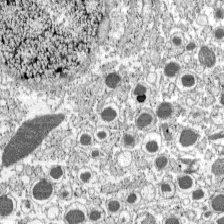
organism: C57BL Mouse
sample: Pancreatic islet